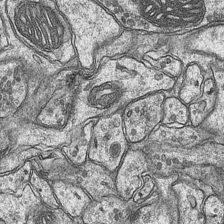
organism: Mouse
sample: CA1 Hippocampus